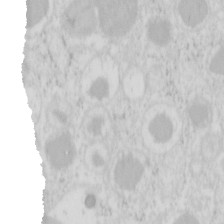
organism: Mouse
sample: Pancreas